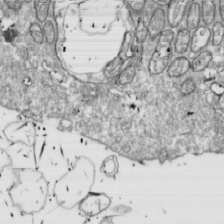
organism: Drosophila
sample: Cell division; meiosis; drosophila spermatocytes